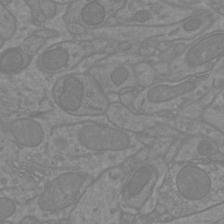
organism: Mouse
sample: Cortical neurons